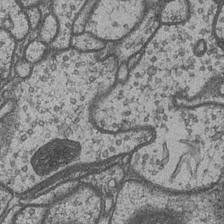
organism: Drosophila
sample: Optic medulla